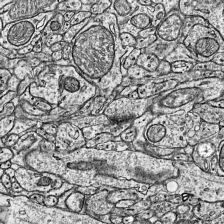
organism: Mouse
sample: Visual Cortex